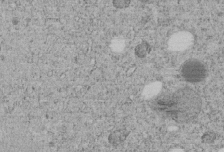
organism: C. elegans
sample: C. elegans embryo early stage